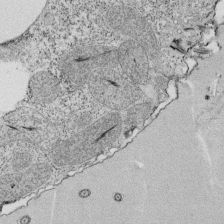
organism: Tetrahymena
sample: Cilia in tetrahymena